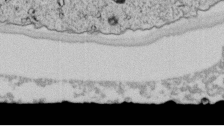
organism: C. elegans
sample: C. elegans embryo early stage